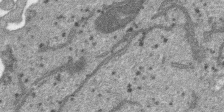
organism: Human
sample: Lung epithelial cells infected with SARS-CoV-2